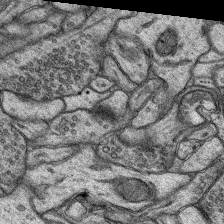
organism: Rat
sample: Hippocampus